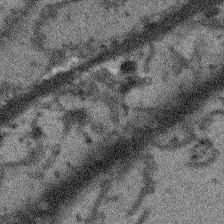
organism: Arabidopsis thaliana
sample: Root tip